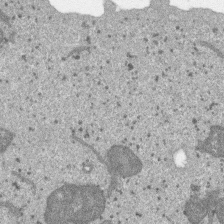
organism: Human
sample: Lung epithelial cells infected with SARS-CoV-2